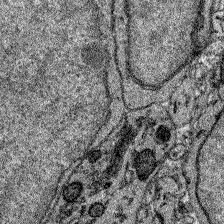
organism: Zebrafish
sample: Larval olfactory bulb